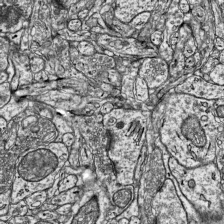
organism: Mouse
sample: Visual Cortex